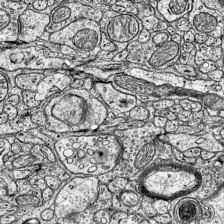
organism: Mouse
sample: Visual Cortex